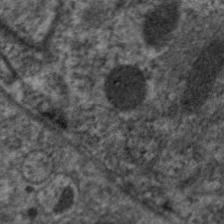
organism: C. elegans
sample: Pharynx